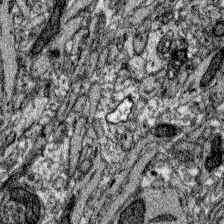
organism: Zebrafish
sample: Larval olfactory bulb